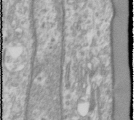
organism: Human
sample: Cilia; basal body in RPE cells